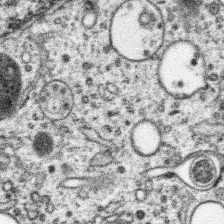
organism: Human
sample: HeLa cells